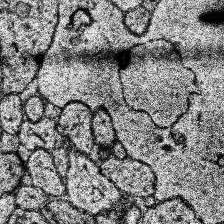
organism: Human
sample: Temporal Lobe